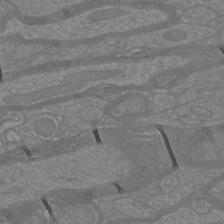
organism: Mouse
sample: Cortical neurons